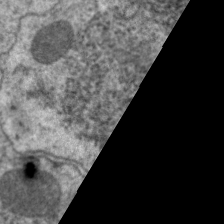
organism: C. elegans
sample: Pharynx